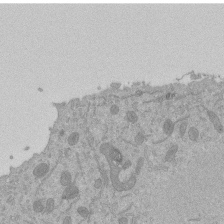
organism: Mouse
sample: ED-1 cell nuclei; centrioles